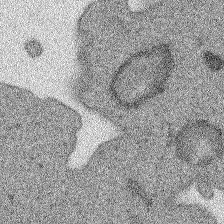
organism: Human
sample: HeLa cells